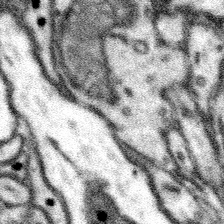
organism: Mouse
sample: Somatosensory cortex neuropil